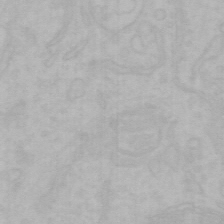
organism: Mouse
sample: Choroid plexus